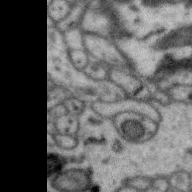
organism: Zebra finch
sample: Brain